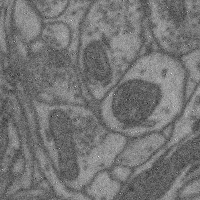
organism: Mouse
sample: Cerebral cortex